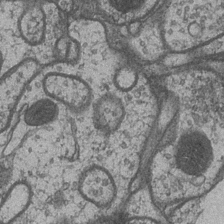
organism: Drosophila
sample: Optic medulla